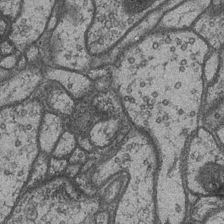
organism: Drosophila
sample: Optic medulla